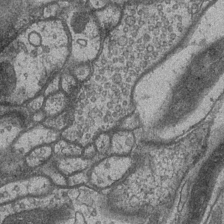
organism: Drosophila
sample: Optic medulla